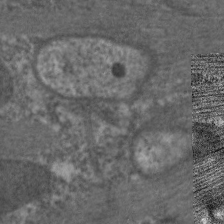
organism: C. elegans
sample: Pharynx